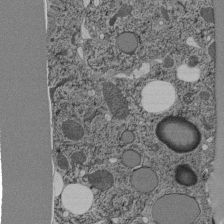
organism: C. elegans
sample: C. elegans pharynx